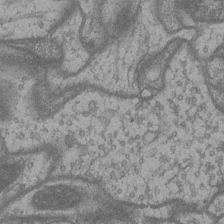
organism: Drosophila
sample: Optic medulla